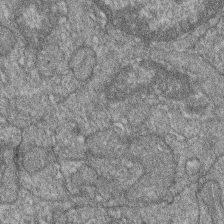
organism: Zebrafish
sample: Cilia; retinal pigment epithelium